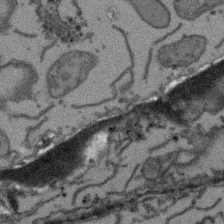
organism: Arabidopsis thaliana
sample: Root tip